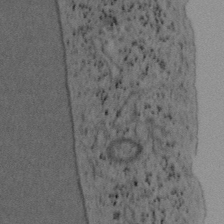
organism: Human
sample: HeLa cells